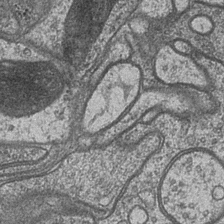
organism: Drosophila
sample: Optic medulla